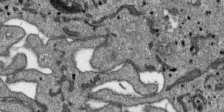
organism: Human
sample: Lung epithelial cells, uninfected (mock) control